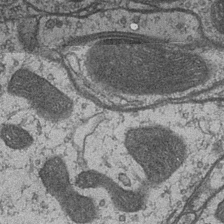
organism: Drosophila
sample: Optic medulla